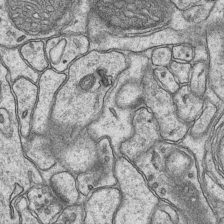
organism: Mouse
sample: CA1 Hippocampus